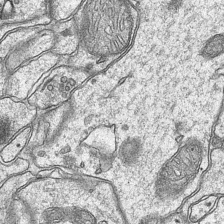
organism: Mouse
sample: CA1 Hippocampus